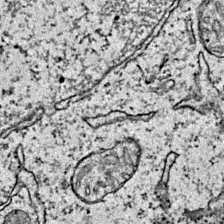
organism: Mouse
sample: Primary visual cortex